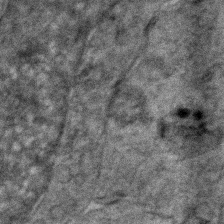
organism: Zebrafish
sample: Zebrafish embryo